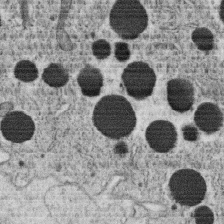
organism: C. elegans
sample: C. elegans oocyte; sperm cells